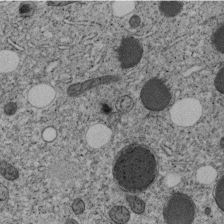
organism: C. elegans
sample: C. elegans embryo early stage